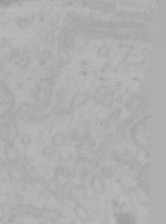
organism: Mouse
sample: Choroid plexus